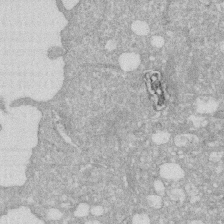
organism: Human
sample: HIV infected U937 cells